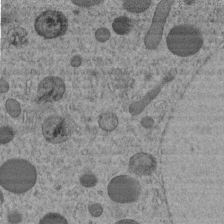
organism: C. elegans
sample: C. elegans embryo early stage